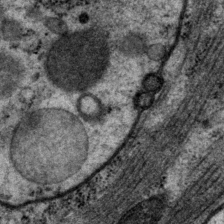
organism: P. pacificus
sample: Pharynx